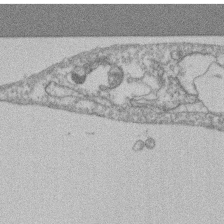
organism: Mouse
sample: T cell stromal cell synapse